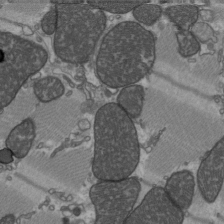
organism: C57BL Mouse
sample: Heart